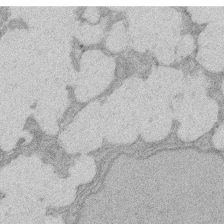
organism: Rat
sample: Salivary granule